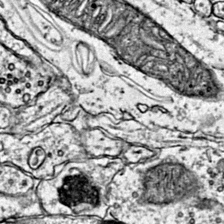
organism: Mouse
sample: Primary visual cortex